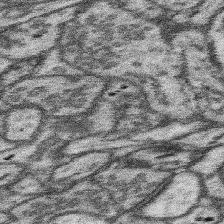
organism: Mouse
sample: Somatosensory cortex neuropil